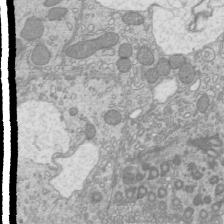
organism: Mouse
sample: Cilia; mouse epididymis